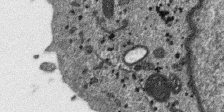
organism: Human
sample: Lung epithelial cells infected with SARS-CoV-2